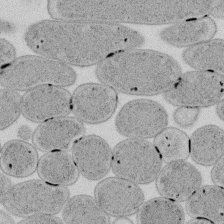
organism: E. coli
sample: Bacterial nucleoid